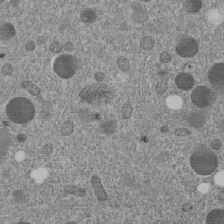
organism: C. elegans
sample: C. elegans embryo early stage